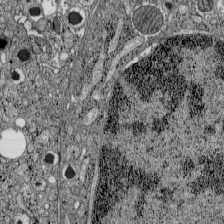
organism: C57BL Mouse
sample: Pancreatic islet